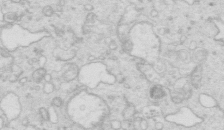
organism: Mouse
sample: Multiciliated cells